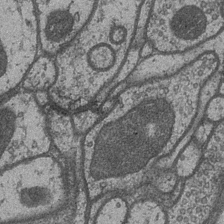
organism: Drosophila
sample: Optic medulla